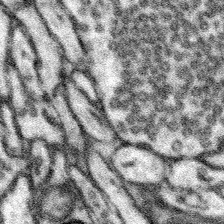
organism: Mouse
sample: Somatosensory cortex neuropil